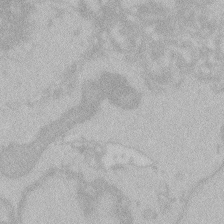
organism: Zebrafish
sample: Macrophage infected with Toxoplasma gondii